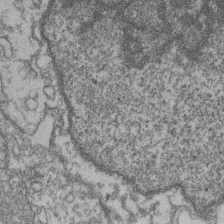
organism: Mouse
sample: T cell stromal cell synapse